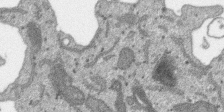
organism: Human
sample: Lung epithelial cells infected with SARS-CoV-2